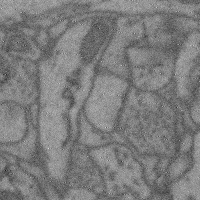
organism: Mouse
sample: Cerebral cortex